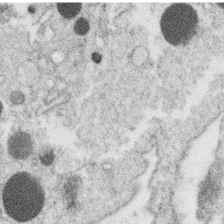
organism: C. elegans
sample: C. elegans oocyte; sperm cells